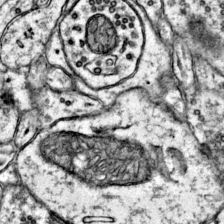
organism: Mouse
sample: Primary visual cortex